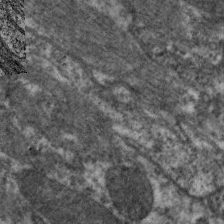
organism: C. elegans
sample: Pharynx